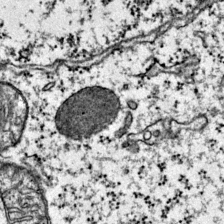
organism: Mouse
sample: Primary visual cortex